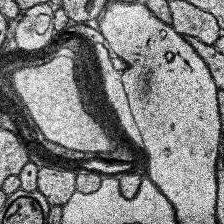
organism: Human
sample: Temporal Lobe